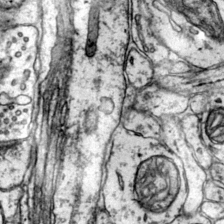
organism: Mouse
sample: Primary visual cortex